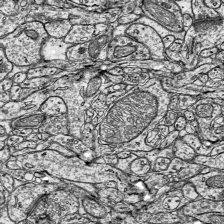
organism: Mouse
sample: Visual Cortex